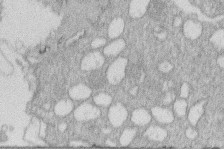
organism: Human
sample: Macrophage cells